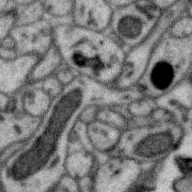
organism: Zebra finch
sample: Brain